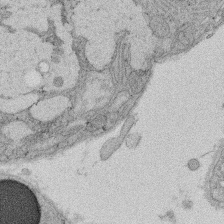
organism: Rat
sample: Salivary granule